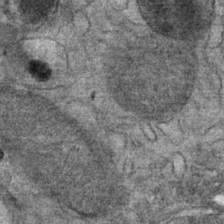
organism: Mouse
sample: Mouse Salivary gland